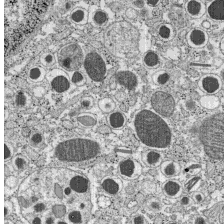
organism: C57BL Mouse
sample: Pancreatic islet